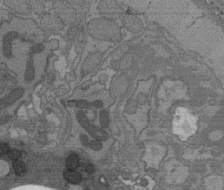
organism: C. elegans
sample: AFD neurons C. elegans